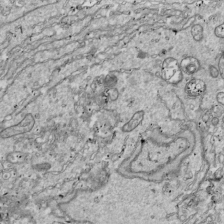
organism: Drosophila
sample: Cell division; meiosis; drosophila spermatocytes